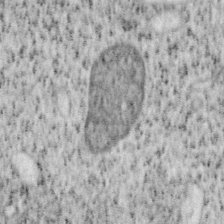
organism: Mouse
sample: OT-I killer T cells with ID8 ovarian cancer cells